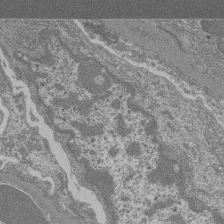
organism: Mouse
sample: Glomerulus